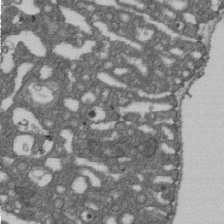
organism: Drosophila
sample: Nephrocyte